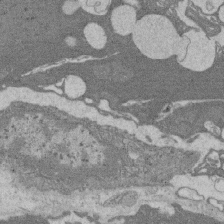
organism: Rat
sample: Salivary granule